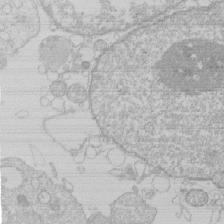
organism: Human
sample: Macrophage cells